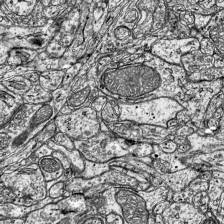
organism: Mouse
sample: Visual Cortex